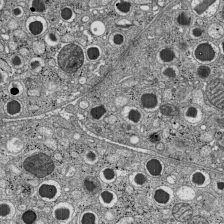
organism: C57BL Mouse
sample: Pancreatic islet